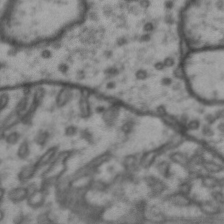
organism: Drosophila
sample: Brain